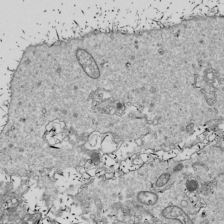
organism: Drosophila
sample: Cell division; meiosis; drosophila spermatocytes